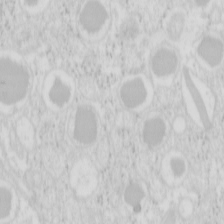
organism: Mouse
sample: Pancreas